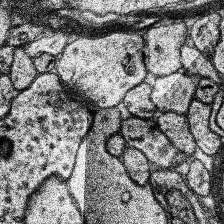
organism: Human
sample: Temporal Lobe